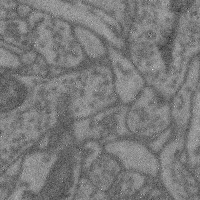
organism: Mouse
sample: Cerebral cortex